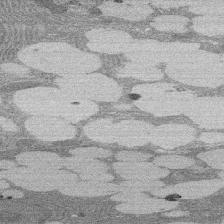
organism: Rat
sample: Salivary granule